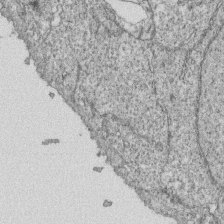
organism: Human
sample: HeLa cell HIV synapse